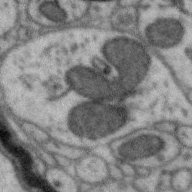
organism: Zebra finch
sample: Brain